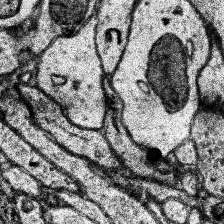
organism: Human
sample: Temporal Lobe